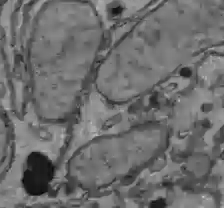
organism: C57BL Mouse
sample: Liver